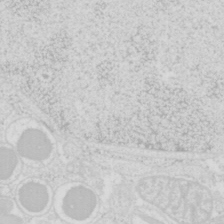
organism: Mouse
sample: Pancreas